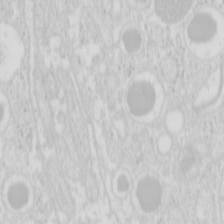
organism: Mouse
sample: Pancreas